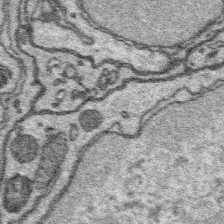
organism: Platynereis dumerilii